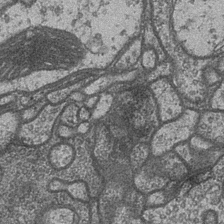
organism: Drosophila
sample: Optic medulla